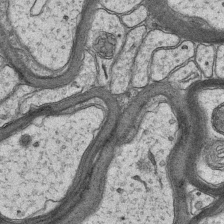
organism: Mouse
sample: CA1 Hippocampus